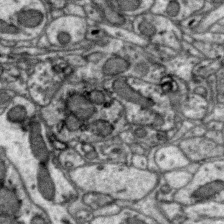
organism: Zebra finch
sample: Brain